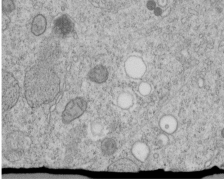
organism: C. elegans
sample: C. elegans embryo early stage